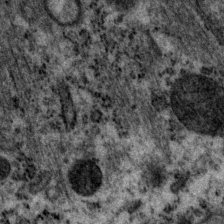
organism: P. pacificus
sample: Pharynx